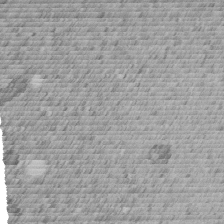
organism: C. elegans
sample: C. elegans embryo early stage